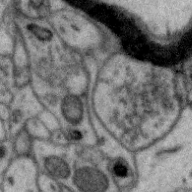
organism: Zebra finch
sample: Brain